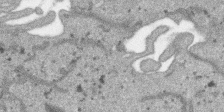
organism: Human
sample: Lung epithelial cells infected with SARS-CoV-2